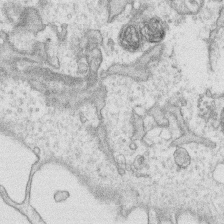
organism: Human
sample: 1205lu cells